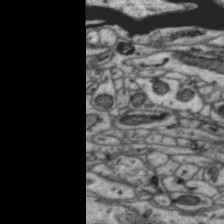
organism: Zebra finch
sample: Brain